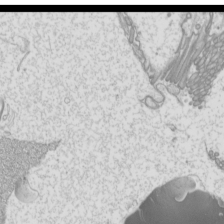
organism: Mouse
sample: Cilia; mouse epididymis